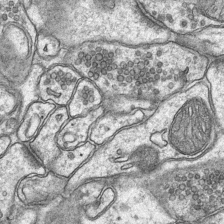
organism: Mouse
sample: CA1 Hippocampus